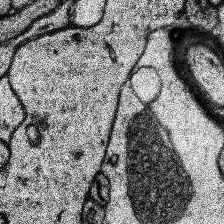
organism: Human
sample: Temporal Lobe